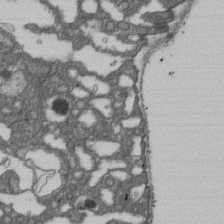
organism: Drosophila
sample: Nephrocyte